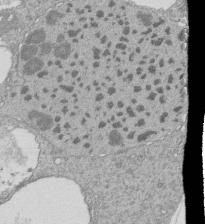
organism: Tetrahymena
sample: Cilia in tetrahymena